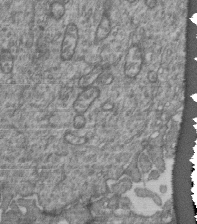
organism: Human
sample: Retinal organoid Rod and Cone cells